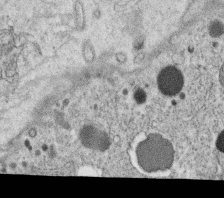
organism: C. elegans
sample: C. elegans oocyte; sperm cells